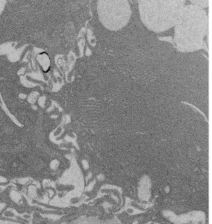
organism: Rat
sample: Salivary granule